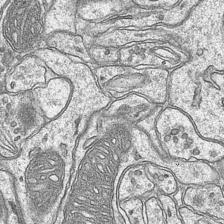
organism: Mouse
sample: CA1 Hippocampus